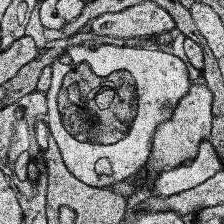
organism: Human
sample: Temporal Lobe